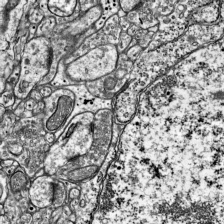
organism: Mouse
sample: Visual Cortex